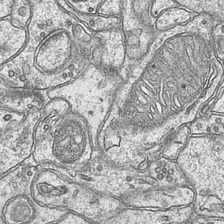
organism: Mouse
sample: CA1 Hippocampus